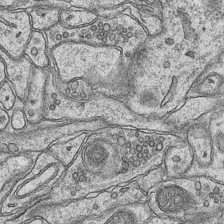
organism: Mouse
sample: CA1 Hippocampus